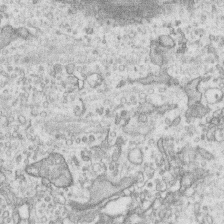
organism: Human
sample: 1205lu cells